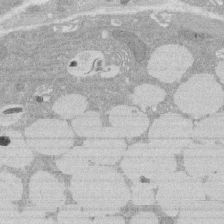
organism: Rat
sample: Salivary granule